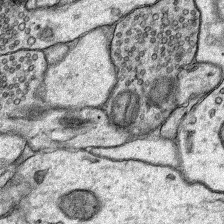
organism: Rat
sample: Hippocampus